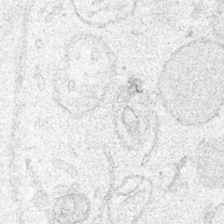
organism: Human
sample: Mitochondria in HCT116 cells